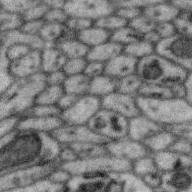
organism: Zebra finch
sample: Brain